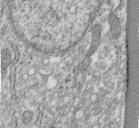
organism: Human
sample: Centriole in fibroblast cells